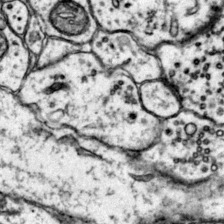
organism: Mouse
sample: Primary visual cortex